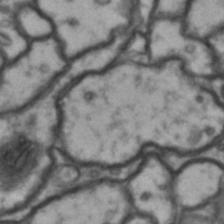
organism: Drosophila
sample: Brain